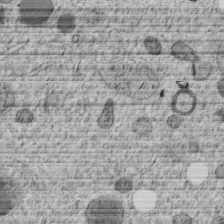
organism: C. elegans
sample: C. elegans embryo early stage